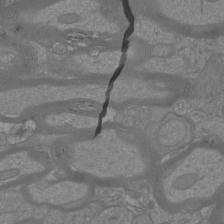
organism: Mouse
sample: Cortical neurons